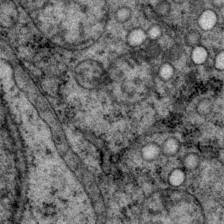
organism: P. pacificus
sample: Pharynx